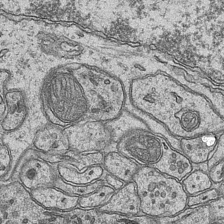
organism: Mouse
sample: CA1 Hippocampus